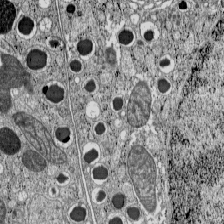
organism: C57BL Mouse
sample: Pancreatic islet